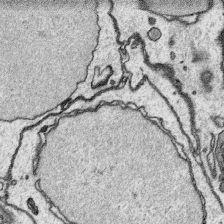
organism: Platynereis dumerilii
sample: Parapodia